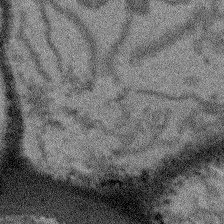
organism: Arabidopsis thaliana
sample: Root tip